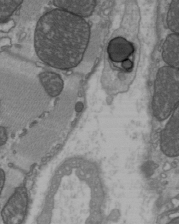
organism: C57BL Mouse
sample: Heart